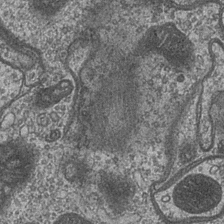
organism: Drosophila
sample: Optic medulla